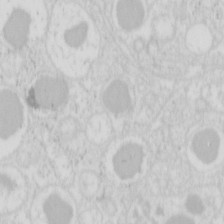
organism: Mouse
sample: Pancreas